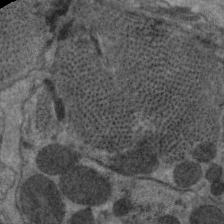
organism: C. elegans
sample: Pharynx